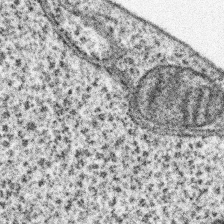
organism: Human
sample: HeLa cells